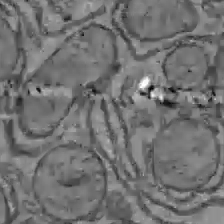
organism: C57BL Mouse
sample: Liver